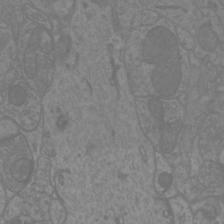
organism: Mouse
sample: Cortical neurons